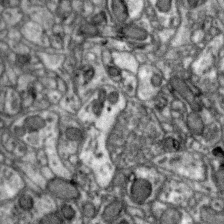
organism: Zebra finch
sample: Brain